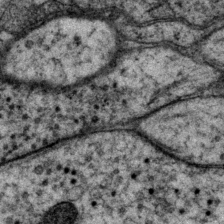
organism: P. pacificus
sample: Pharynx